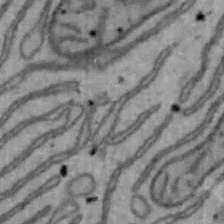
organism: Mouse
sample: Liver